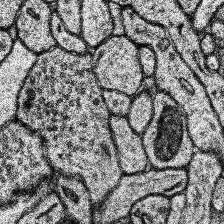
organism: Human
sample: Temporal Lobe